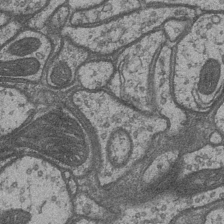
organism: Drosophila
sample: Optic medulla